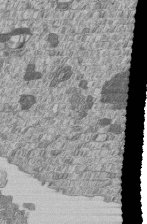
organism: Human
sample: MDA-MB-231 cells